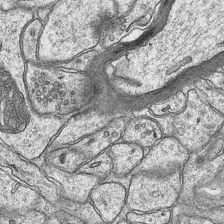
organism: Mouse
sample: CA1 Hippocampus